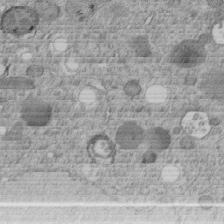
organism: C. elegans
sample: C. elegans embryo early stage